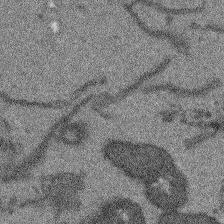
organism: Arabidopsis thaliana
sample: Root tip